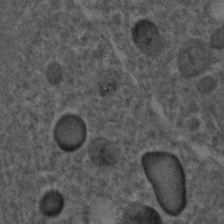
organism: C. elegans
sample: C. elegans embryo